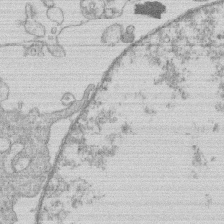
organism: Human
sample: Macrophage cells